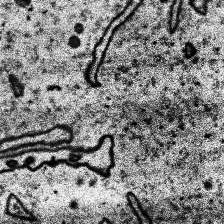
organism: Human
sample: Temporal Lobe